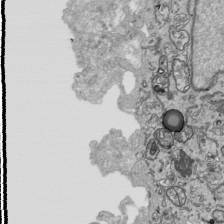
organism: Human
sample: Mitochondria in HCT116 cells